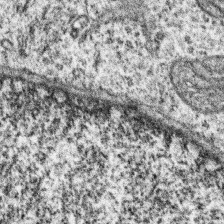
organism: Human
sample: HeLa cells